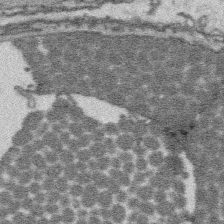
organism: Platynereis dumerilii